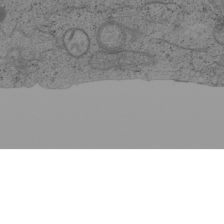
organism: African green monkey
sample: COS-7 cells